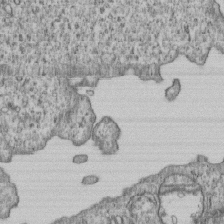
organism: Human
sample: MDA-MB-231 cells